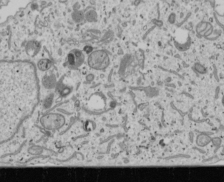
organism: Human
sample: Mitochondria in U2OS cells